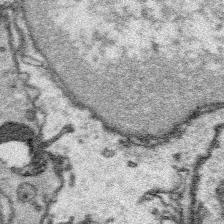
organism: Platynereis dumerilii